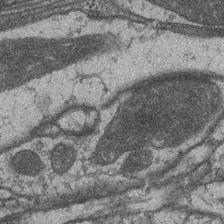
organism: Drosophila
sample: Optic medulla